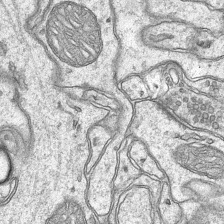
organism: Mouse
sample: CA1 Hippocampus